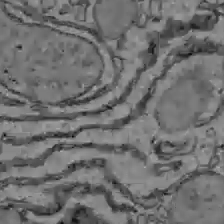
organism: C57BL Mouse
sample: Liver